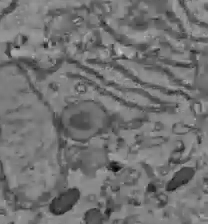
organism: C57BL Mouse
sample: Liver